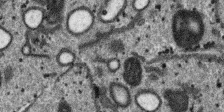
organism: Human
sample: Lung epithelial cells infected with SARS-CoV-2